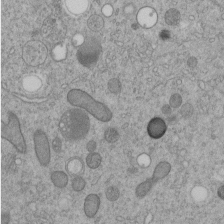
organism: C. elegans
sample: C. elegans embryo early stage